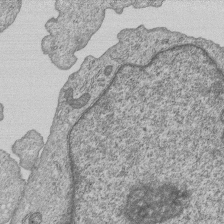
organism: Human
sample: MDA-MB-231 cells